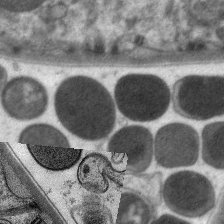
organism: C. elegans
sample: Pharynx